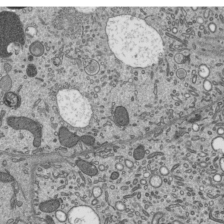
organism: Mouse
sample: Mouse epididymis efferent ductule cilia